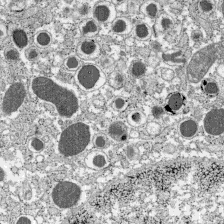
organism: C57BL Mouse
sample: Pancreatic islet